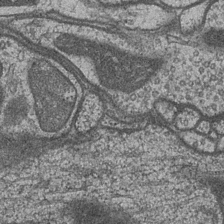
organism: Drosophila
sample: Optic medulla